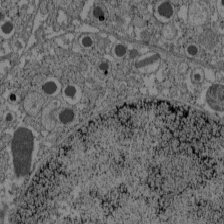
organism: C57BL Mouse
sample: Pancreatic islet